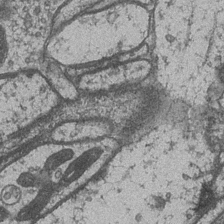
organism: Drosophila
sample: Optic medulla